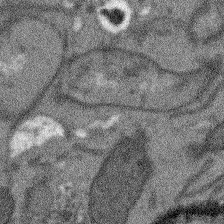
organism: Arabidopsis thaliana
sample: Root tip